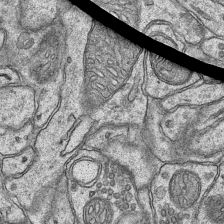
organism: Mouse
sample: CA1 Hippocampus